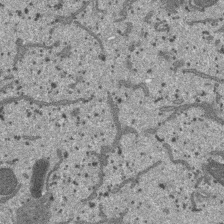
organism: Human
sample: Lung epithelial cells infected with SARS-CoV-2